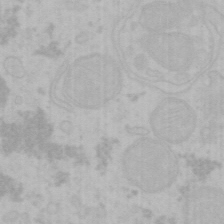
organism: Mouse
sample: Choroid plexus